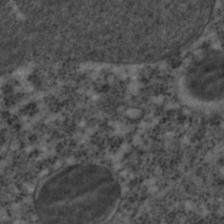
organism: C. elegans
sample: C. elegans embryo